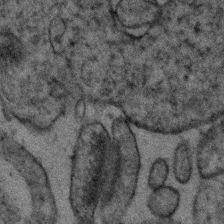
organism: Human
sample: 1205lu cells